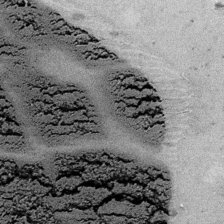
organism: Embia sp.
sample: Silk gland